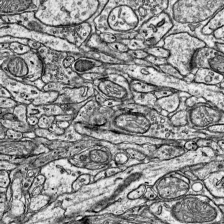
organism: Mouse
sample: Visual Cortex